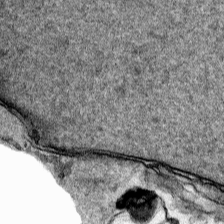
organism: Human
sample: Mitochondria in HCT116 cells